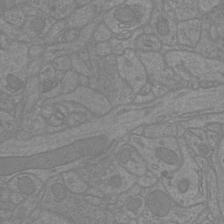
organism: Mouse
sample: Cortical neurons